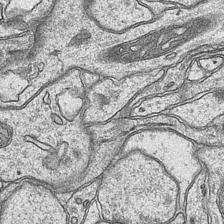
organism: Mouse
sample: CA1 Hippocampus